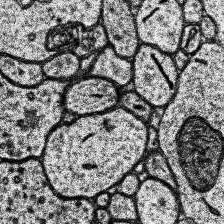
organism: Human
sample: Temporal Lobe